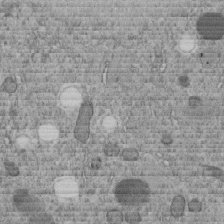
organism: C. elegans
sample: C. elegans embryo early stage